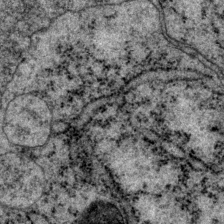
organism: P. pacificus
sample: Pharynx